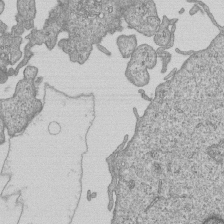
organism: Human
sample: MDA-MB-231 cells